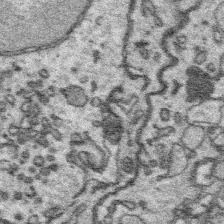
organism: Platynereis dumerilii